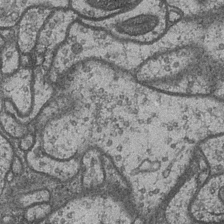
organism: Drosophila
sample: Optic medulla